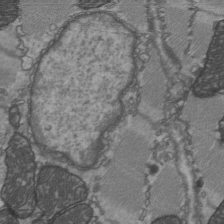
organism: C57BL Mouse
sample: Heart